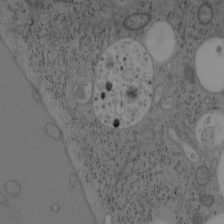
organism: Mouse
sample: OT-I killer T cells with ID8 ovarian cancer cells